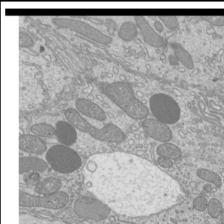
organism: Mouse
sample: Cilia; mouse epididymis